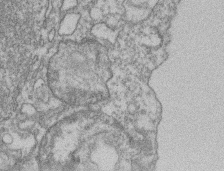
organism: Mouse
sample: T cell stromal cell synapse